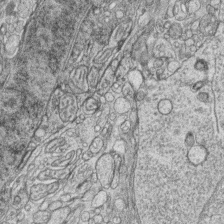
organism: Zebrafish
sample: synaptic ribbons in rod cells and cone cells